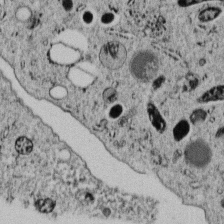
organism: C. elegans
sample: C. elegans embryo early stage